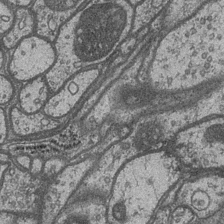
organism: Drosophila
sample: Optic medulla